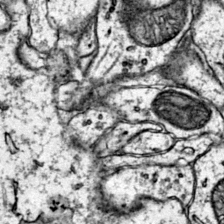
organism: Mouse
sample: Primary visual cortex